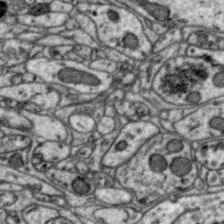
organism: Zebra finch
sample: Brain